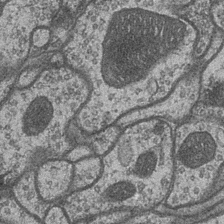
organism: Drosophila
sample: Optic medulla